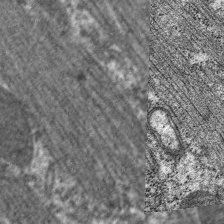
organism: C. elegans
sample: Pharynx